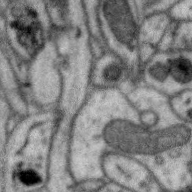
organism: Zebra finch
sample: Brain